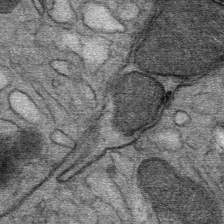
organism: Mouse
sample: Mouse Salivary gland